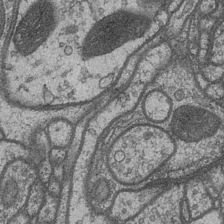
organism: Drosophila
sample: Optic medulla